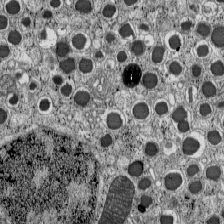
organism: C57BL Mouse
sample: Pancreatic islet